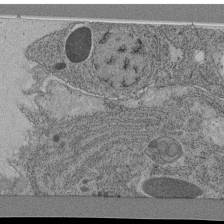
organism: C. elegans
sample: C. elegans pharynx